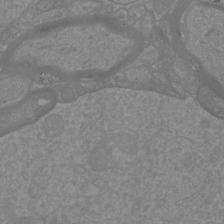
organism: Mouse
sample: Cortical neurons